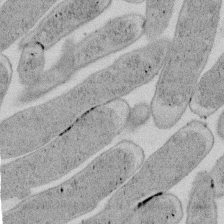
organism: E. coli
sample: Bacterial nucleoid